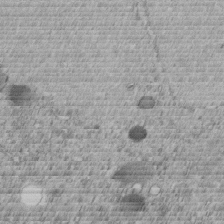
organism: C. elegans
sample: C. elegans embryo early stage